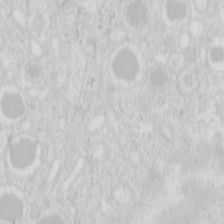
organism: Mouse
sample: Pancreas